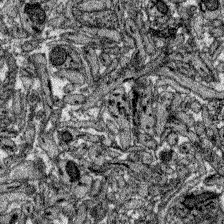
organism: Zebrafish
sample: Larval olfactory bulb